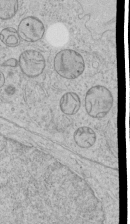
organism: Human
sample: Mitochondria in HCT116 cells